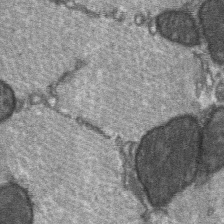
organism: C57BL Mouse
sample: Soleus